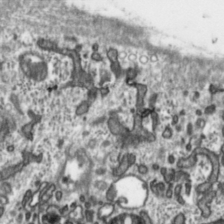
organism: Toxoplasma gondii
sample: Parasites in a vacuole inside a host cell